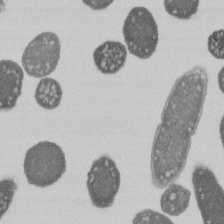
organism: E. coli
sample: Bacterial nucleoid